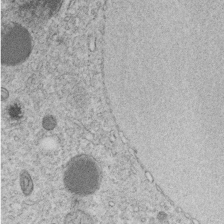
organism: C. elegans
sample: C. elegans embryo early stage